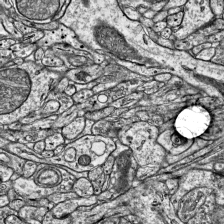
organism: Mouse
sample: Visual Cortex